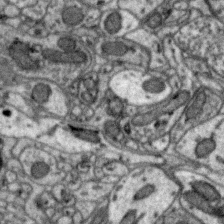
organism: Zebra finch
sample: Brain